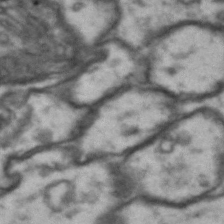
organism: Drosophila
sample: Brain